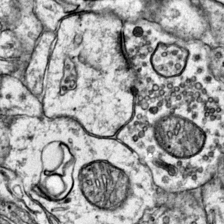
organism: Mouse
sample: Primary visual cortex